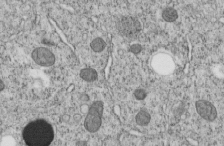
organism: C. elegans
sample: C. elegans embryo early stage